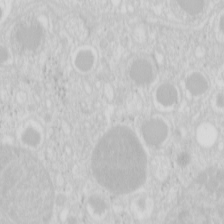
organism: Mouse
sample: Pancreas